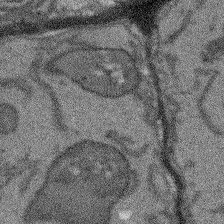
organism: Arabidopsis thaliana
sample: Root tip